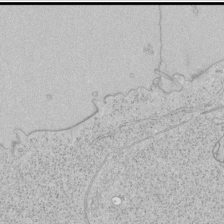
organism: Human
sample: Mitochondria in HCT116 cells